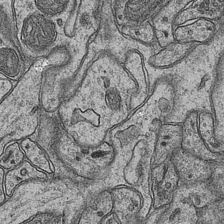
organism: Mouse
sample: CA1 Hippocampus